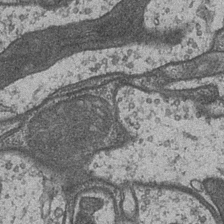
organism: Drosophila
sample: Optic medulla